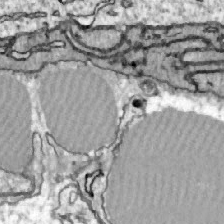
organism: Zebrafish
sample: Actinotrichia fibers